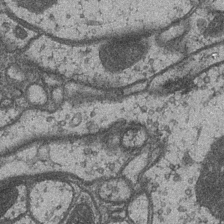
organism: Drosophila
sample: Optic medulla